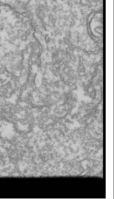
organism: Drosophila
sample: Cell division; meiosis; drosophila spermatocytes